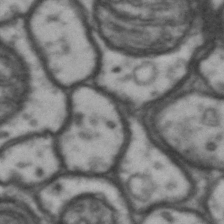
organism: Drosophila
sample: Brain